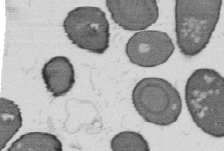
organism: B. subtilis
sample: Bacterial spore